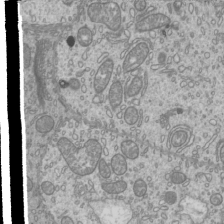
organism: Mouse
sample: Cilia; mouse epididymis